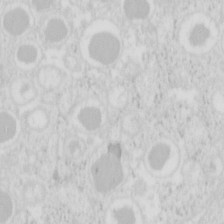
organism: Mouse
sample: Pancreas